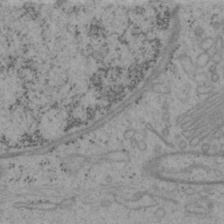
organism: Human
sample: HeLa cells